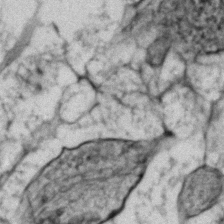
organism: Zebrafish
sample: Zebrafish embryo